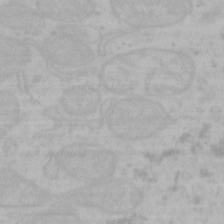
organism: Mouse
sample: Choroid plexus